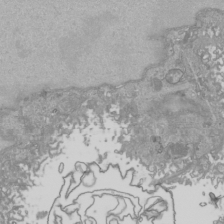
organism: Human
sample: Mitochondria in HCT116 cells